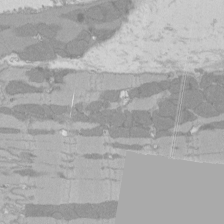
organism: Rat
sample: Left ventricle